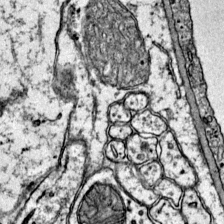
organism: Mouse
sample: Primary visual cortex